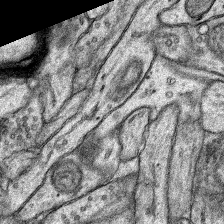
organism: Rat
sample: Hippocampus